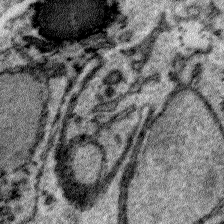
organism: Plasmodium falciparum